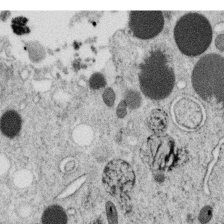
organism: C. elegans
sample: C. elegans oocyte; sperm cells